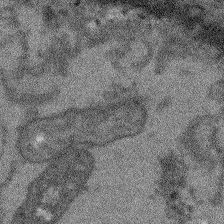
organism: Arabidopsis thaliana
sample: Root tip